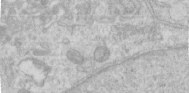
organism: Human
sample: Centriole in RPE cells